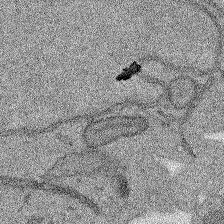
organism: Human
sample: HeLa cells